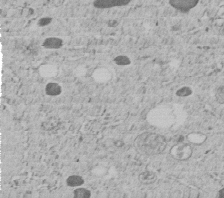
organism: C. elegans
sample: C. elegans embryo early stage